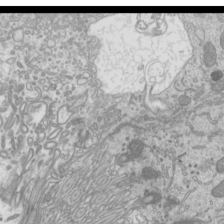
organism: Mouse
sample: Cilia; mouse epididymis